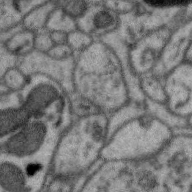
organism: Zebra finch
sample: Brain